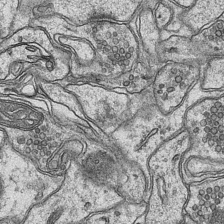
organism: Mouse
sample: CA1 Hippocampus